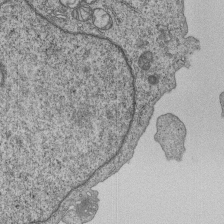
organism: Human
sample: MDA-MB-231 cells